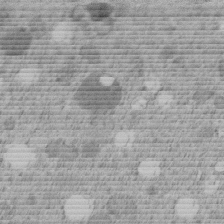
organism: C. elegans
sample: C. elegans embryo early stage